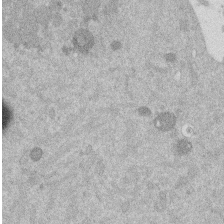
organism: Mouse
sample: Dividing mouse embryo 1 cell stage